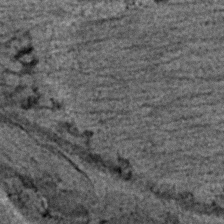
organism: C. elegans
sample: C. elegans embryo